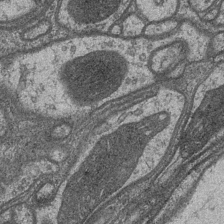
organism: Drosophila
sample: Optic medulla